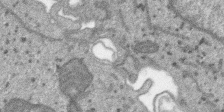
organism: Human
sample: Lung epithelial cells infected with SARS-CoV-2